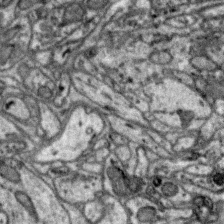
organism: Zebra finch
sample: Brain